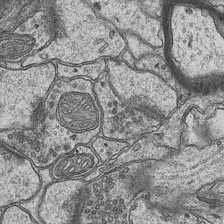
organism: Mouse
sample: CA1 Hippocampus